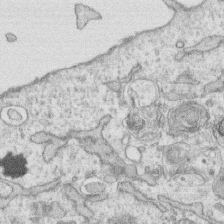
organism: Human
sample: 1205lu cells